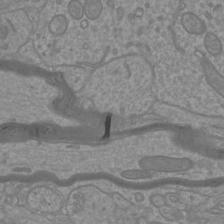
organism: Mouse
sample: Cortical neurons